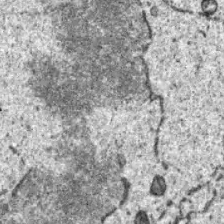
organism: Human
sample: HeLa cells